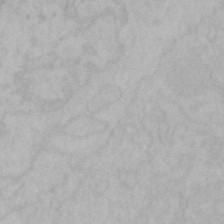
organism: Mouse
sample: Choroid plexus